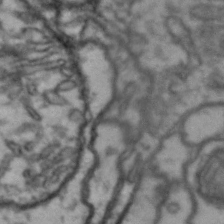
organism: Drosophila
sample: Brain